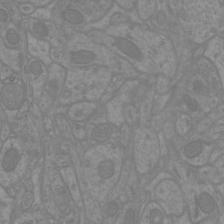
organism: Mouse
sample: Cortical neurons